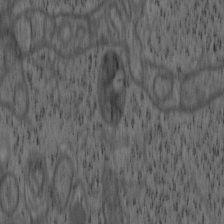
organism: Human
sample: HeLa cells